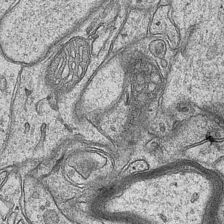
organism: Mouse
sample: CA1 Hippocampus